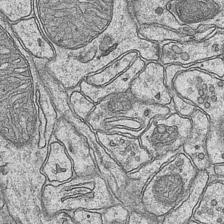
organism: Mouse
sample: CA1 Hippocampus